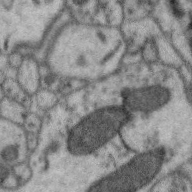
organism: Zebra finch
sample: Brain